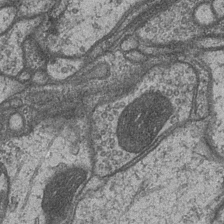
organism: Drosophila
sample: Optic medulla